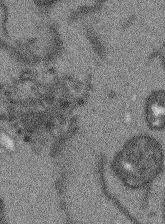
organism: Arabidopsis thaliana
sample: Root tip